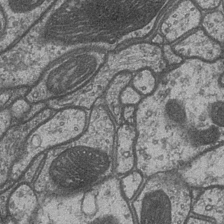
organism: Drosophila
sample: Optic medulla